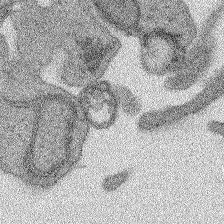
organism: Human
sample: HeLa cells